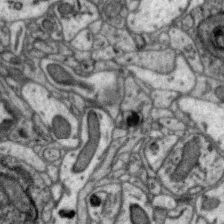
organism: Zebra finch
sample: Brain